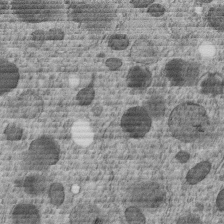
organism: C. elegans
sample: C. elegans embryo early stage